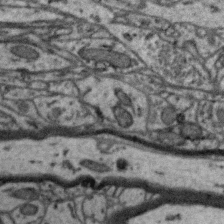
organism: Zebra finch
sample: Brain